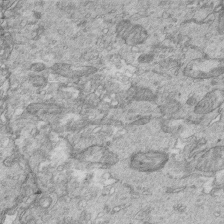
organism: Mouse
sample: Multiciliated cells